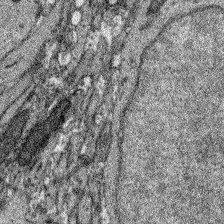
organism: Zebrafish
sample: Larval olfactory bulb